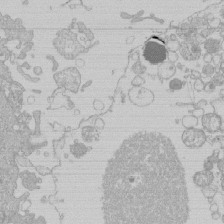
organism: Human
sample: Macrophage cells